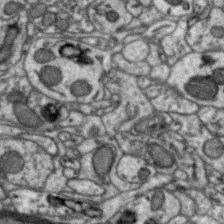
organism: Zebra finch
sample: Brain